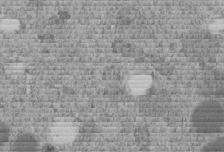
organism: C. elegans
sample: C. elegans embryo early stage